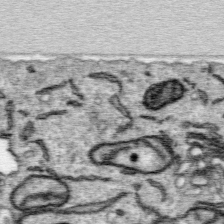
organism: Human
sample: HeLa cells